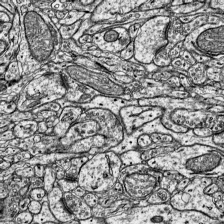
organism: Mouse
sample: Visual Cortex